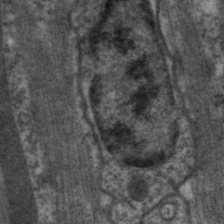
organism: C. elegans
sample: Pharynx